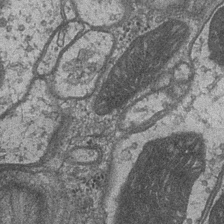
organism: Drosophila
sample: Optic medulla